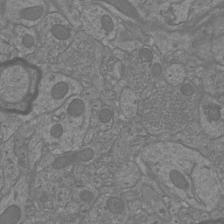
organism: Mouse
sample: Cortical neurons